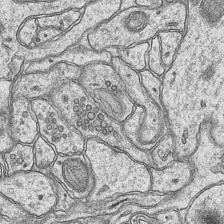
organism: Mouse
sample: CA1 Hippocampus